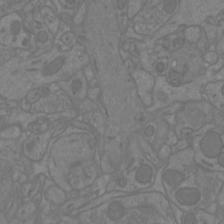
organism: Mouse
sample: Cortical neurons